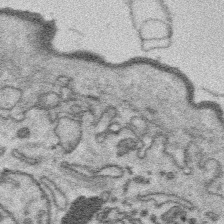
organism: Platynereis dumerilii